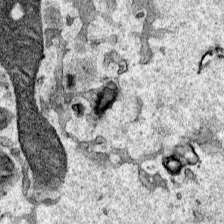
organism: Human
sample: Mitochondria in HCT116 cells